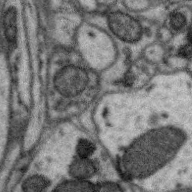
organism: Zebra finch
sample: Brain